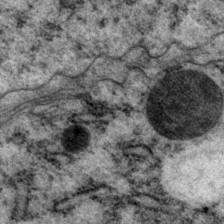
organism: P. pacificus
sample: Pharynx